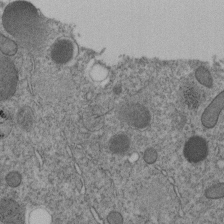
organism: C. elegans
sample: C. elegans embryo early stage